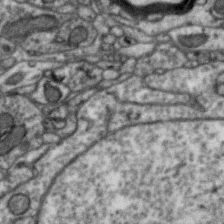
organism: Zebra finch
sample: Brain